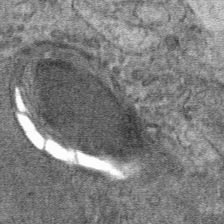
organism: Mouse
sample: Mouse hepatocytes